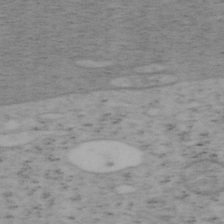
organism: Mouse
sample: OT-I killer T cells with ID8 ovarian cancer cells